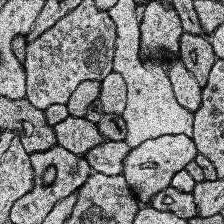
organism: Human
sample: Temporal Lobe